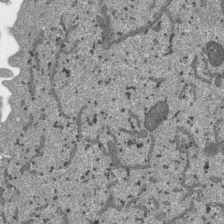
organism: Human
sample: Lung epithelial cells infected with SARS-CoV-2